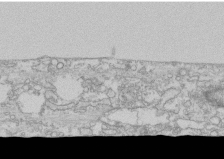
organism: Human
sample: CRL-1474